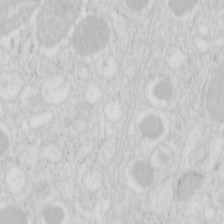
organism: Mouse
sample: Pancreas